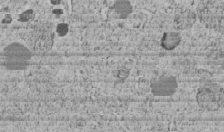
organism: C. elegans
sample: C. elegans embryo early stage